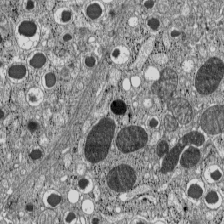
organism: C57BL Mouse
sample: Pancreatic islet